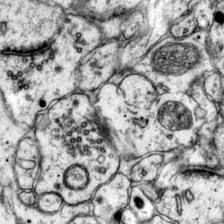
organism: Mouse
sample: Primary visual cortex